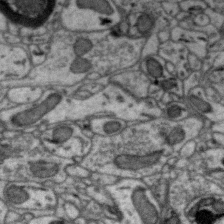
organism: Zebra finch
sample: Brain